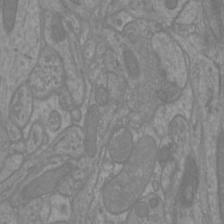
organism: Mouse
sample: Cortical neurons